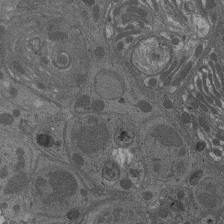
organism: Drosophila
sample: Antenna